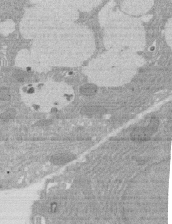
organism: Rat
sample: Salivary granule